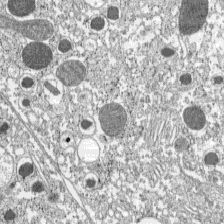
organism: C57BL Mouse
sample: Pancreatic islet